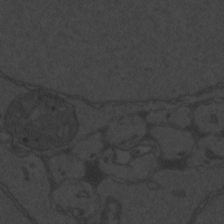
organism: Zebrafish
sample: Macrophage infected with Toxoplasma gondii